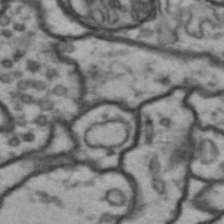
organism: Drosophila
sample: Brain